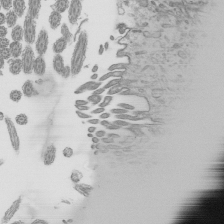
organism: Mouse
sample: Mouse epididymis efferent ductule cilia